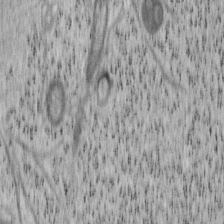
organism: Human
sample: HeLa cells